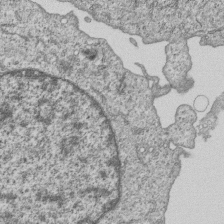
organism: Human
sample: MDA-MB-231 cells